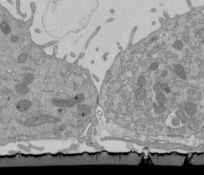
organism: Mouse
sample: ED-1 cell nuclei; centrioles